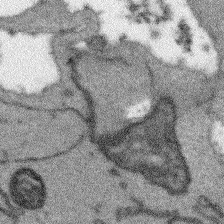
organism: Arabidopsis thaliana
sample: Root tip